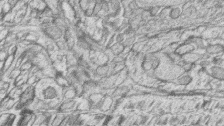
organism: Zebrafish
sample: synaptic ribbons in rod cells and cone cells